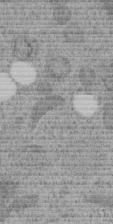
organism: C. elegans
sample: C. elegans embryo early stage